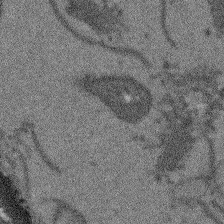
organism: Arabidopsis thaliana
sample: Root tip